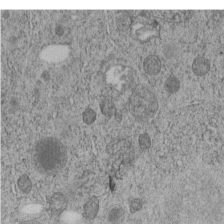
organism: C. elegans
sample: C. elegans embryo early stage